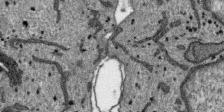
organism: Human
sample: Lung epithelial cells, uninfected (mock) control